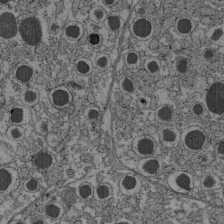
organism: C57BL Mouse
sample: Pancreatic islet